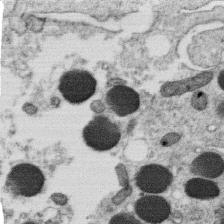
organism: C. elegans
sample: C. elegans oocyte; sperm cells